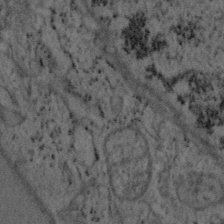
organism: Human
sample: HeLa cells